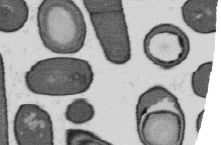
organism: B. subtilis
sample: Bacterial spore